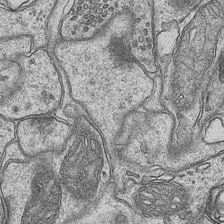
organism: Mouse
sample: CA1 Hippocampus